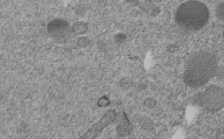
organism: C. elegans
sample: C. elegans embryo early stage